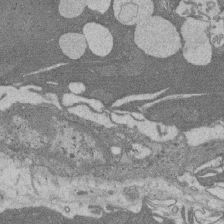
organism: Rat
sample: Salivary granule